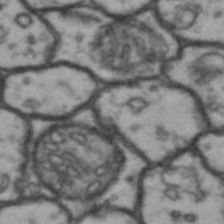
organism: Drosophila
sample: Brain